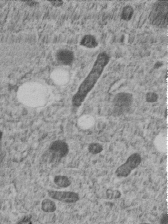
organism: C. elegans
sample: C. elegans embryo early stage